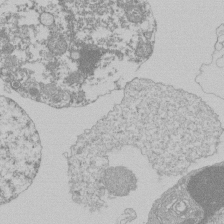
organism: Mouse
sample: Activated Pmel transgenic CD8+ T Cells